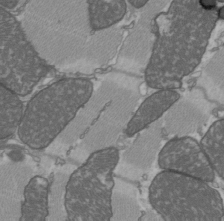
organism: C57BL Mouse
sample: Heart